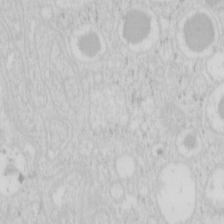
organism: Mouse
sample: Pancreas